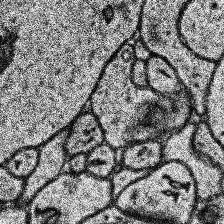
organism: Human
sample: Temporal Lobe